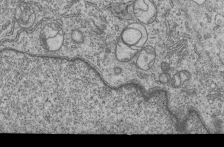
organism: Human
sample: MDA-MB-231 cells